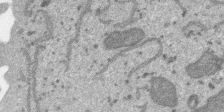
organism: Human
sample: Lung epithelial cells infected with SARS-CoV-2